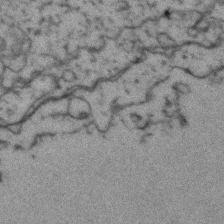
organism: Zebrafish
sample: Zebrafish embryo